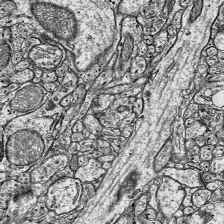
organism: Mouse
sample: Visual Cortex